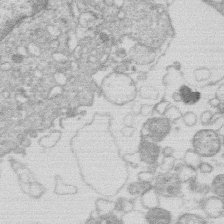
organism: Human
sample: Macrophage cells